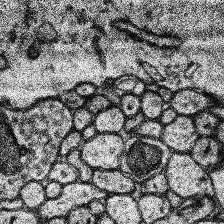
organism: Human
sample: Temporal Lobe